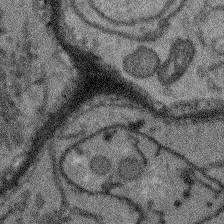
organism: Arabidopsis thaliana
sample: Root tip